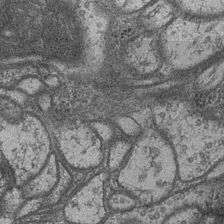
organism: Drosophila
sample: Optic medulla